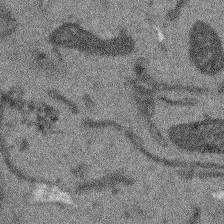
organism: Arabidopsis thaliana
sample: Root tip